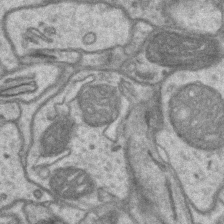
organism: Mouse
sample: CA1 Hippocampus